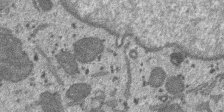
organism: Human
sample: Lung epithelial cells infected with SARS-CoV-2